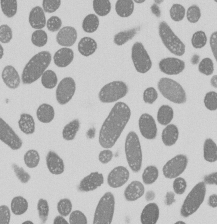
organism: E. coli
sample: Bacterial nucleoid